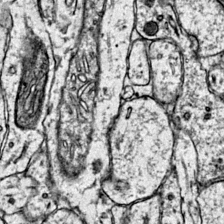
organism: Mouse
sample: Primary visual cortex